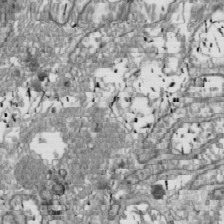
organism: Drosophila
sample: Cell division; meiosis; drosophila spermatocytes